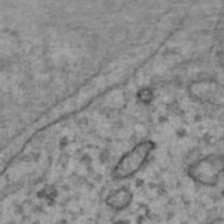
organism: Human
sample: Blood